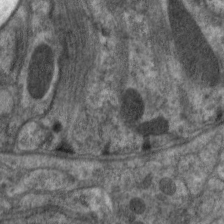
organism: C. elegans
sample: Pharynx